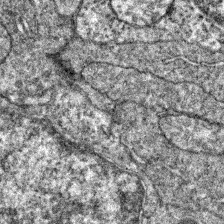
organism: Zebrafish